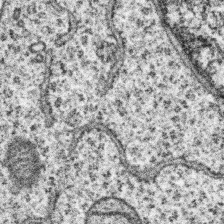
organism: Human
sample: HeLa cells